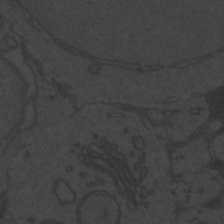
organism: Zebrafish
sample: Macrophage infected with Toxoplasma gondii